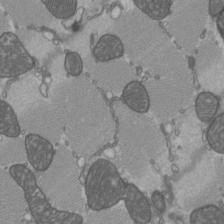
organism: C57BL Mouse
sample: Heart